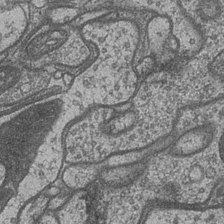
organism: Drosophila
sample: Optic medulla